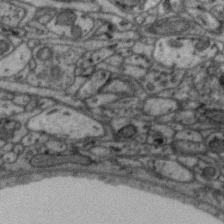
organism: Zebra finch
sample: Brain